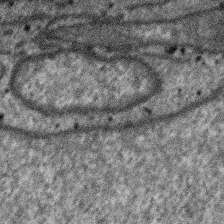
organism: Human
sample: Lung epithelial cells infected with SARS-CoV-2